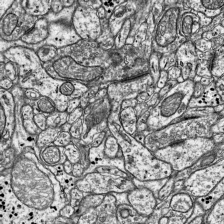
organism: Mouse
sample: Visual Cortex